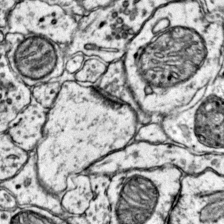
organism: Mouse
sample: Primary visual cortex